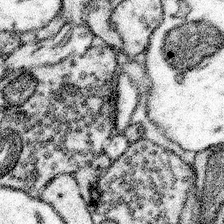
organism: Mouse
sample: Somatosensory cortex neuropil